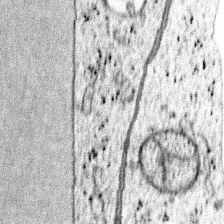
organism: Human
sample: HeLa cells